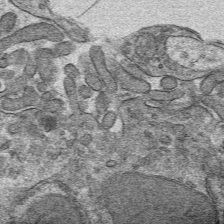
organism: Mouse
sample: Mouse hepatocytes